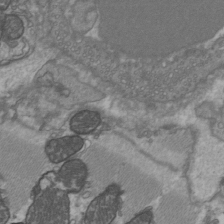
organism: C57BL Mouse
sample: Heart